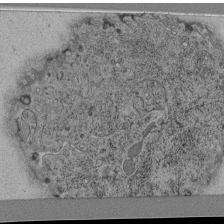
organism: C. elegans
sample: C. elegans pharynx